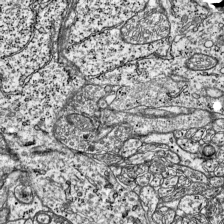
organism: Mouse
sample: Visual Cortex